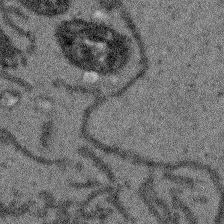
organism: Arabidopsis thaliana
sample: Root tip